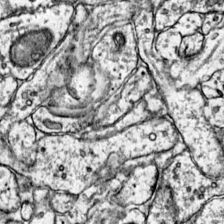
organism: Mouse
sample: Primary visual cortex